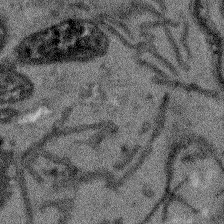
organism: Arabidopsis thaliana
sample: Root tip